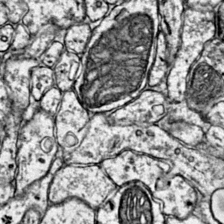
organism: Mouse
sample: Primary visual cortex